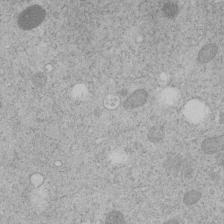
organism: C. elegans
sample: C. elegans embryo early stage